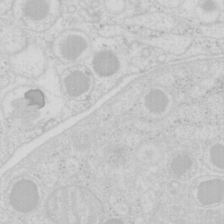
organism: Mouse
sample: Pancreas